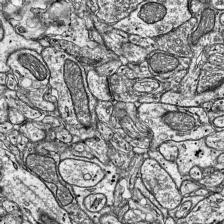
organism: Mouse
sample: Visual Cortex